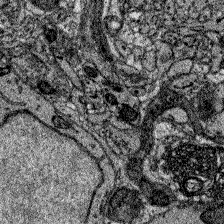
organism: Zebrafish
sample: Larval olfactory bulb